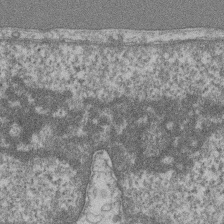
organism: Mouse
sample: T cell stromal cell synapse